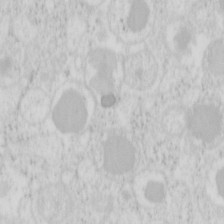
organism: Mouse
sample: Pancreas